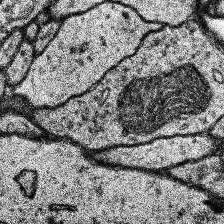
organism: Human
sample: Temporal Lobe